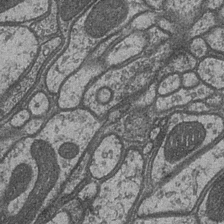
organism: Drosophila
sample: Optic medulla